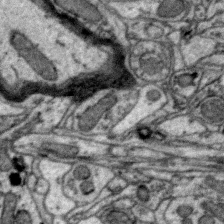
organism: Zebra finch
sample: Brain